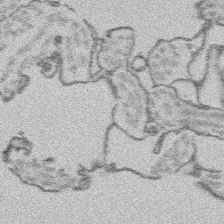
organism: Platynereis dumerilii